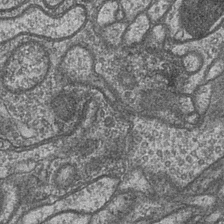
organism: Drosophila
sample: Optic medulla